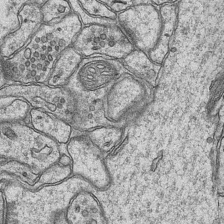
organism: Mouse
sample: CA1 Hippocampus